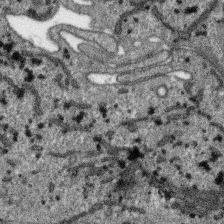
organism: Human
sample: Lung epithelial cells infected with SARS-CoV-2